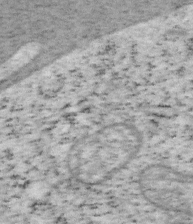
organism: Mouse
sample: OT-I killer T cells with ID8 ovarian cancer cells